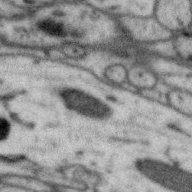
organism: Zebra finch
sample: Brain